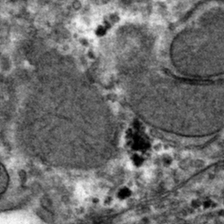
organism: Mouse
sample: Mouse hepatocytes